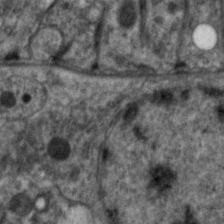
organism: C. elegans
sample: Pharynx